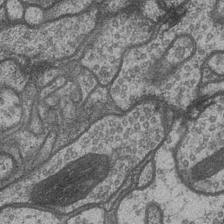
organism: Drosophila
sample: Optic medulla